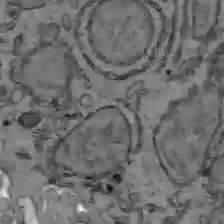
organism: C57BL Mouse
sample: Liver